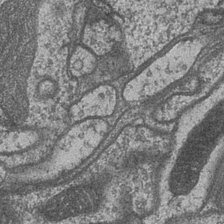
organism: Drosophila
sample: Optic medulla